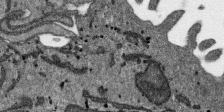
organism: Human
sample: Lung epithelial cells, uninfected (mock) control